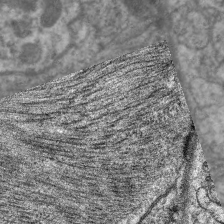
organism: C. elegans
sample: Pharynx